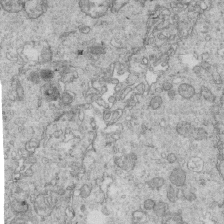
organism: Mouse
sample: Multiciliated cells